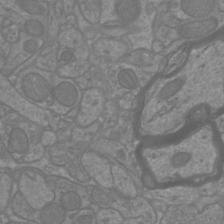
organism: Mouse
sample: Cortical neurons